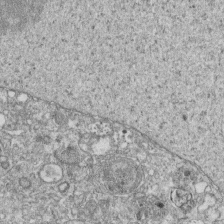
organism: Human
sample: HeLa cell HIV synapse